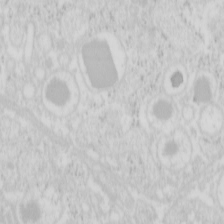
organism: Mouse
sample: Pancreas